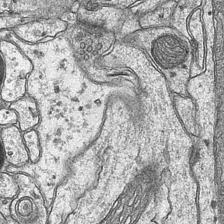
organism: Mouse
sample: CA1 Hippocampus